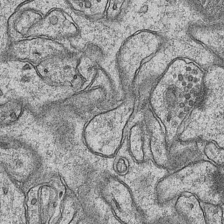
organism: Mouse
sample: CA1 Hippocampus